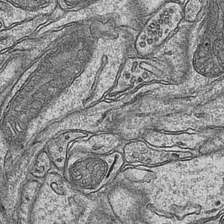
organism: Mouse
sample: CA1 Hippocampus